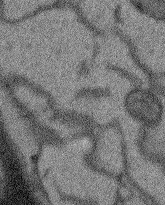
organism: Arabidopsis thaliana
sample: Root tip